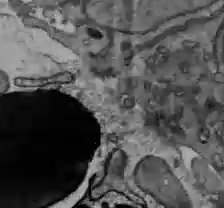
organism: C57BL Mouse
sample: Liver